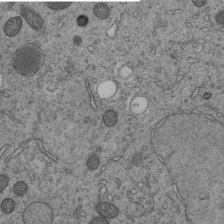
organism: C. elegans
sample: C. elegans embryo early stage